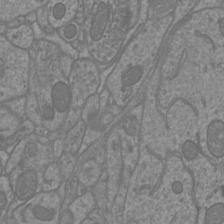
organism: Mouse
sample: Cortical neurons